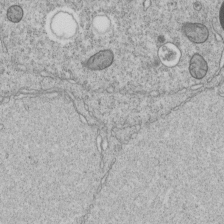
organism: C. elegans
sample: C. elegans embryo early stage